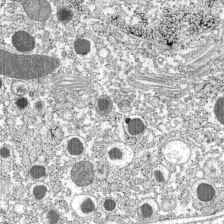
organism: C57BL Mouse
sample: Pancreatic islet